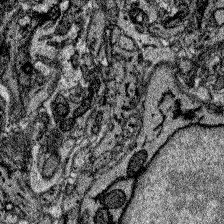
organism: Zebrafish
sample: Larval olfactory bulb